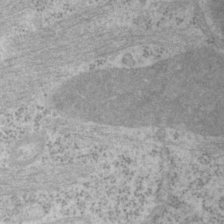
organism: P. pacificus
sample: Pharynx